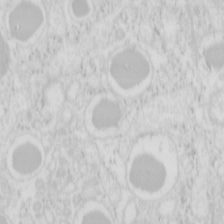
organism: Mouse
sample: Pancreas